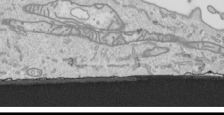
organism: Human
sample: Mitochondria in HCT116 cells